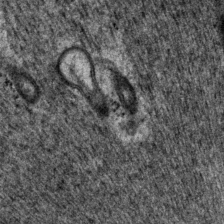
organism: P. pacificus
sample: Pharynx